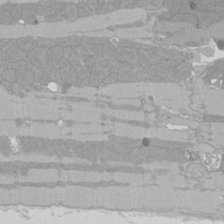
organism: Rat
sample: Left ventricle